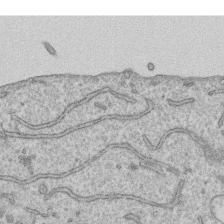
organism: Human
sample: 1205lu cells